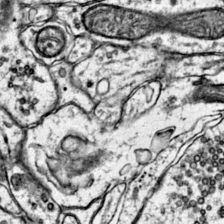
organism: Mouse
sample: Primary visual cortex